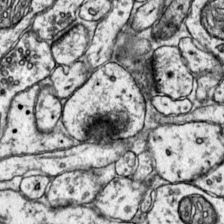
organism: Mouse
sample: Primary visual cortex